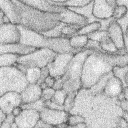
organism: Rabbit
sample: Retina